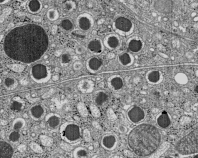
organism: C57BL Mouse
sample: Pancreatic islet